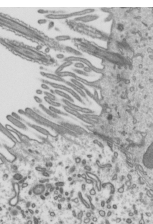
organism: Mouse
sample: Mouse epididymis efferent ductule cilia